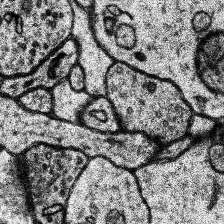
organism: Human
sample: Temporal Lobe